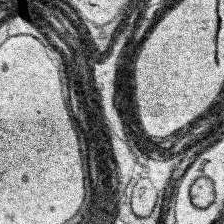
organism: Human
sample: Temporal Lobe